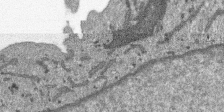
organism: Human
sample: Lung epithelial cells infected with SARS-CoV-2